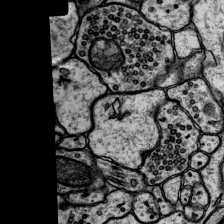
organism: Rat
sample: Hippocampus